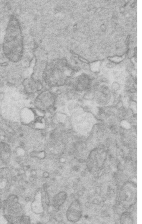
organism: Mouse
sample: Multiciliated cells